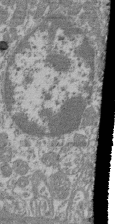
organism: Mouse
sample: Glomerulus